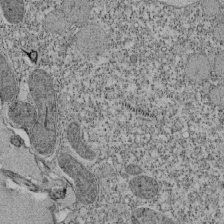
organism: Tetrahymena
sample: Cilia in tetrahymena